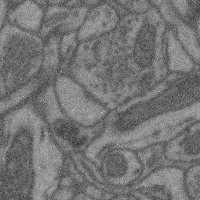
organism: Mouse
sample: Cerebral cortex